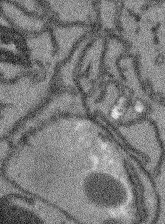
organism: Arabidopsis thaliana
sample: Root tip